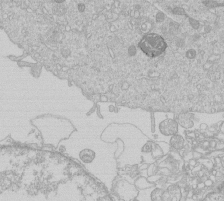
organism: Human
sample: Macrophage cells